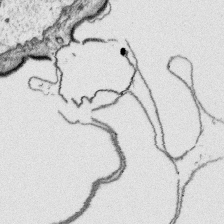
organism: Platynereis dumerilii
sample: Parapodia